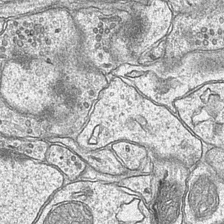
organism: Mouse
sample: CA1 Hippocampus